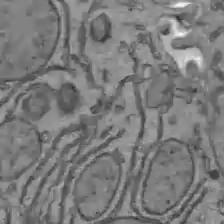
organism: C57BL Mouse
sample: Liver